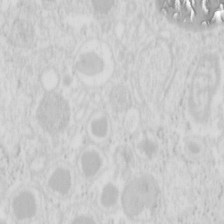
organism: Mouse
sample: Pancreas